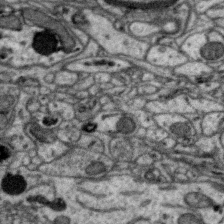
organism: Zebra finch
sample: Brain